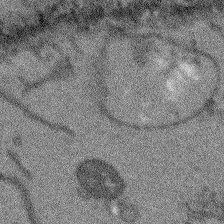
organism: Arabidopsis thaliana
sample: Root tip